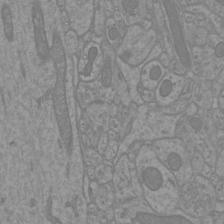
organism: Mouse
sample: Cortical neurons